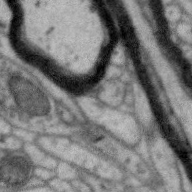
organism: Zebra finch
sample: Brain